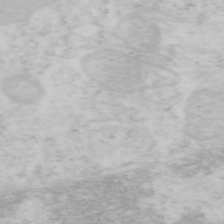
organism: Mouse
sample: OT-I killer T cells with ID8 ovarian cancer cells